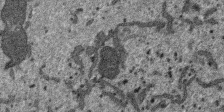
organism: Human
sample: Lung epithelial cells infected with SARS-CoV-2